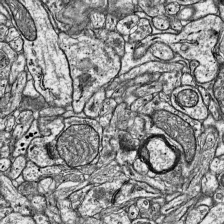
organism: Mouse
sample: Visual Cortex